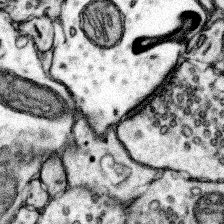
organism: Mouse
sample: Somatosensory cortex neuropil